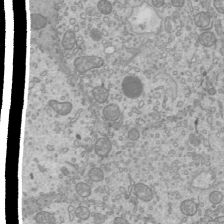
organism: Mouse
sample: Cilia; mouse epididymis